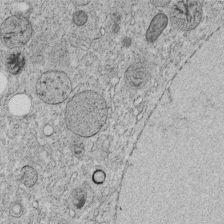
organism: C. elegans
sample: C. elegans embryo early stage